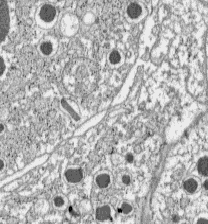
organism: C57BL Mouse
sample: Pancreatic islet